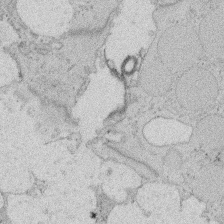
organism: Rat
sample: Salivary granule